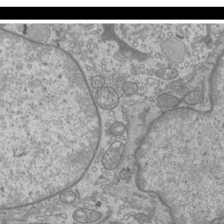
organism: Mouse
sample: Cilia; mouse epididymis